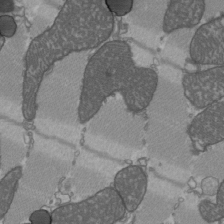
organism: C57BL Mouse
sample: Heart